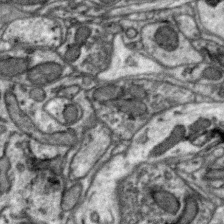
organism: Zebra finch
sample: Brain